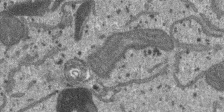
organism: Human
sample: Lung epithelial cells infected with SARS-CoV-2